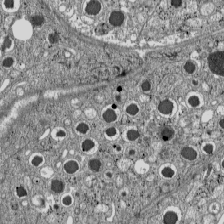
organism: C57BL Mouse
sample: Pancreatic islet